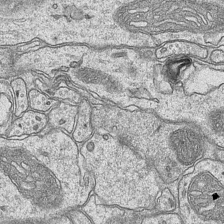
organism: Mouse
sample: CA1 Hippocampus